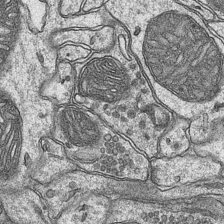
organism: Mouse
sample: CA1 Hippocampus